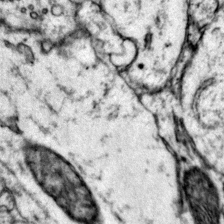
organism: Mouse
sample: Primary visual cortex